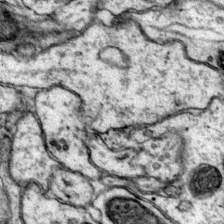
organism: Mouse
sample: Primary visual cortex